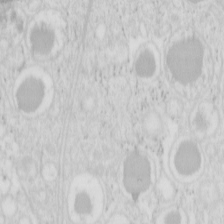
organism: Mouse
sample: Pancreas